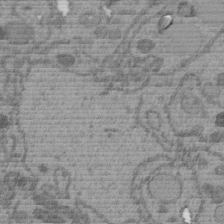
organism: C. elegans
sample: C. elegans embryo early stage